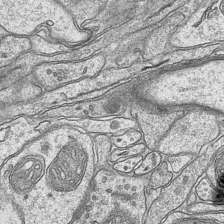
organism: Mouse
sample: CA1 Hippocampus